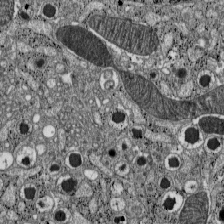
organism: C57BL Mouse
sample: Pancreatic islet